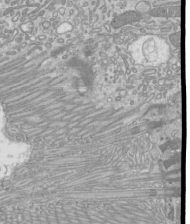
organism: Mouse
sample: Cilia; mouse epididymis